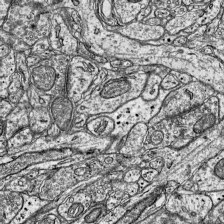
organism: Mouse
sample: Visual Cortex